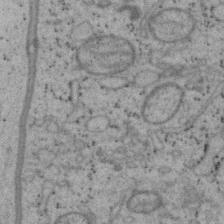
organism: Human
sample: HeLa cells